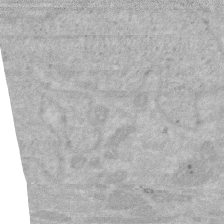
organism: Human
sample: HIV infected U937 cells